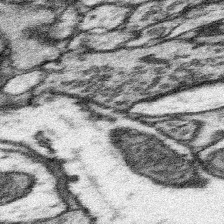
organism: Mouse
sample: Somatosensory cortex neuropil